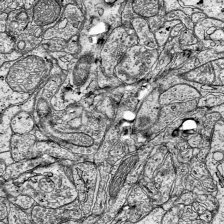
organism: Mouse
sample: Visual Cortex